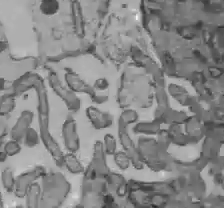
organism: C57BL Mouse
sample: Liver